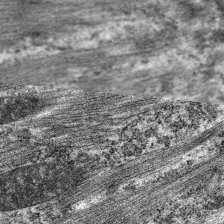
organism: C. elegans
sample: Pharynx